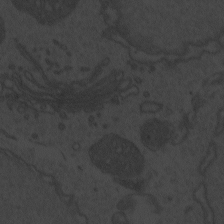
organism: Zebrafish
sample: Macrophage infected with Toxoplasma gondii